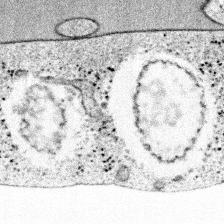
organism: Human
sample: HeLa cells